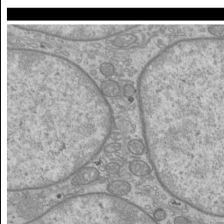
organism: Mouse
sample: Cilia; mouse epididymis